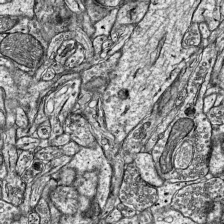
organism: Mouse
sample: Visual Cortex